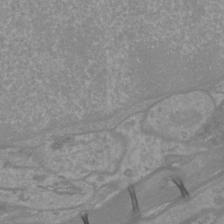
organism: Mouse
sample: Cortical neurons